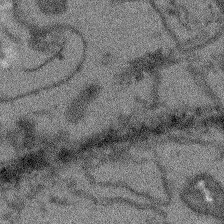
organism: Arabidopsis thaliana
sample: Root tip